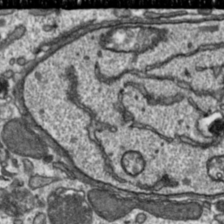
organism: Toxoplasma gondii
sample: Parasites in a vacuole inside a host cell